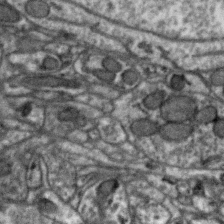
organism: Zebra finch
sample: Brain